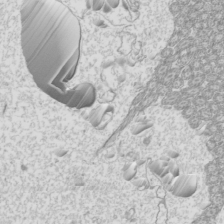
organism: Mouse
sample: Cilia; mouse epididymis